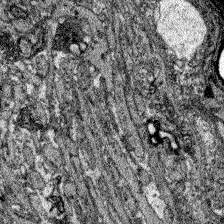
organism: Zebrafish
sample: Larval olfactory bulb